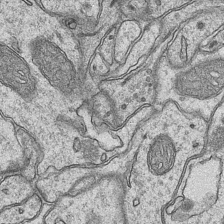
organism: Mouse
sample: CA1 Hippocampus